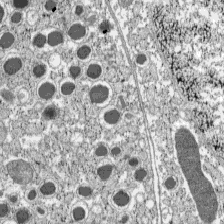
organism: C57BL Mouse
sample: Pancreatic islet